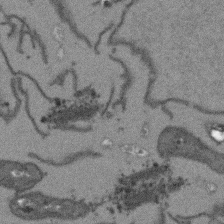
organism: Arabidopsis thaliana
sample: Root tip